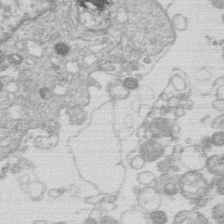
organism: Human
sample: Macrophage cells